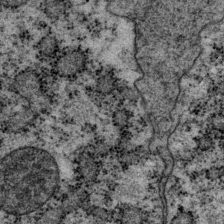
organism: P. pacificus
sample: Pharynx